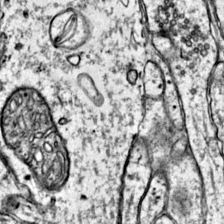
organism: Mouse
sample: Primary visual cortex